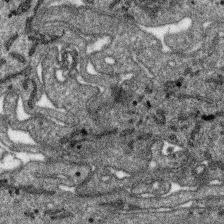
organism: Human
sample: Lung epithelial cells infected with SARS-CoV-2